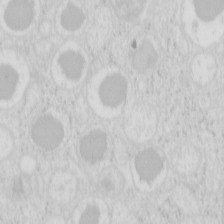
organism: Mouse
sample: Pancreas